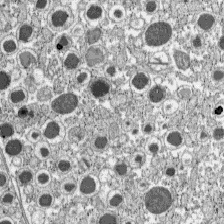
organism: C57BL Mouse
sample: Pancreatic islet